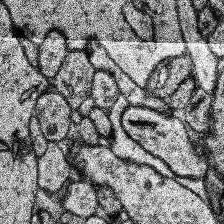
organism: Human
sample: Temporal Lobe